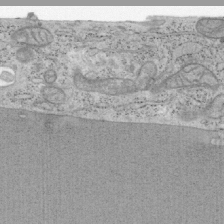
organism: Human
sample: HeLa cells